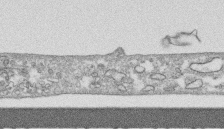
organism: Human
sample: CRL-1474